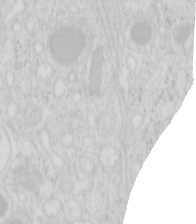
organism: Mouse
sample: Pancreas